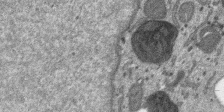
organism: Human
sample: Lung epithelial cells infected with SARS-CoV-2